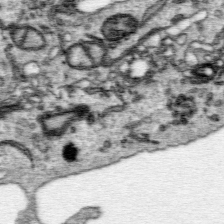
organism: Human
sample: HeLa cells